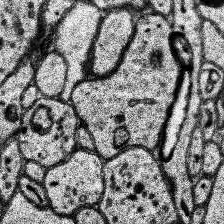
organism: Human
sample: Temporal Lobe